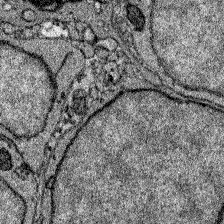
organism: Zebrafish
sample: Larval olfactory bulb